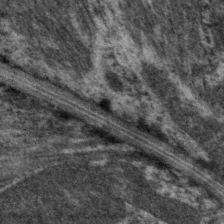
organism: C. elegans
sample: Pharynx